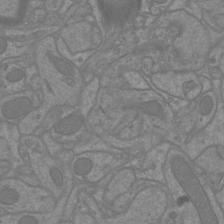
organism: Mouse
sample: Cortical neurons